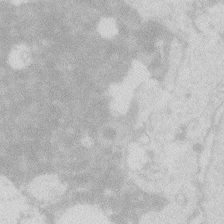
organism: Zebrafish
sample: Macrophage